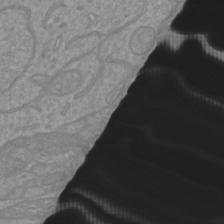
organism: Mouse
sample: Cortical neurons